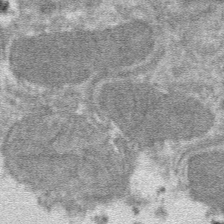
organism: Mouse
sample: Mouse hepatocytes